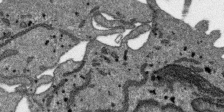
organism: Human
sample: Lung epithelial cells, uninfected (mock) control